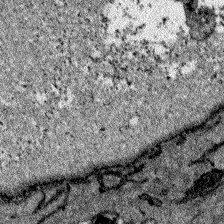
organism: Zebrafish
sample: Larval olfactory bulb